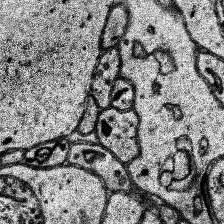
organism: Human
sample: Temporal Lobe